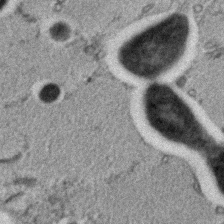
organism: C. elegans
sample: C. elegans embryo